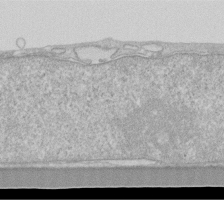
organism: Human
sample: Fibroblast cells